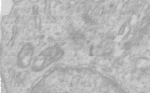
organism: Human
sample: Centriole in RPE cells